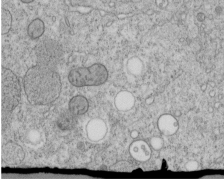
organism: C. elegans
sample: C. elegans embryo early stage